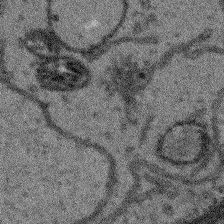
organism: Arabidopsis thaliana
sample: Root tip